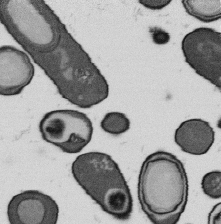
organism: B. subtilis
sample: Bacterial spore